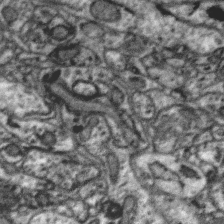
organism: Zebra finch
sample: Brain